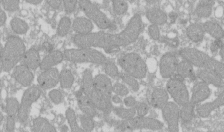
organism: Xenopus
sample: Cilia; centrioles in frog embryo cells